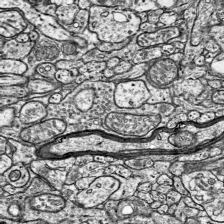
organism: Mouse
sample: Visual Cortex